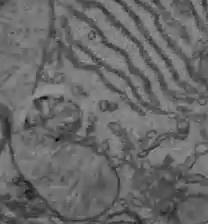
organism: C57BL Mouse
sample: Liver